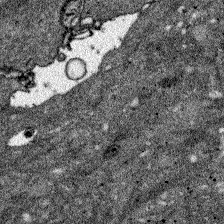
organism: Zebrafish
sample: Larval olfactory bulb